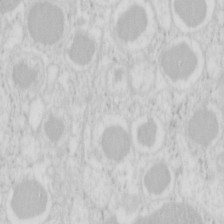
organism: Mouse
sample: Pancreas